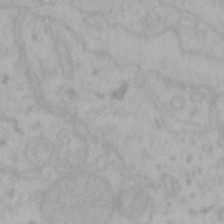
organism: Mouse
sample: Choroid plexus